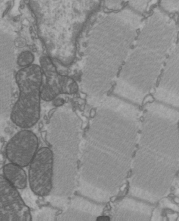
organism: C57BL Mouse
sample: Heart